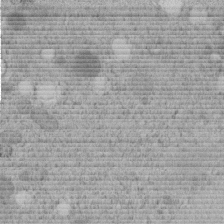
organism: C. elegans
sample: C. elegans embryo early stage